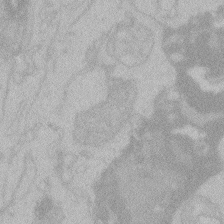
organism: Zebrafish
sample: Macrophage infected with Toxoplasma gondii